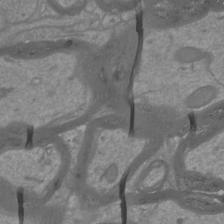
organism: Mouse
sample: Cortical neurons